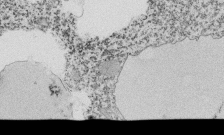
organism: Tetrahymena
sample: Cilia in tetrahymena